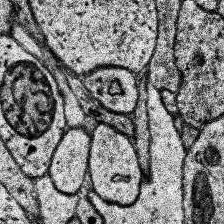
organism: Human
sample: Temporal Lobe